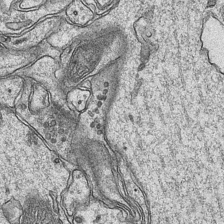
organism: Mouse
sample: CA1 Hippocampus